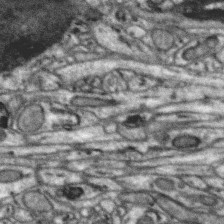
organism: Zebra finch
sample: Brain